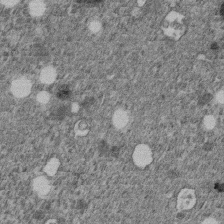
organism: C. elegans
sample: C. elegans embryo early stage